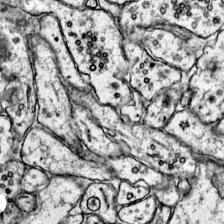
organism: Mouse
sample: Primary visual cortex